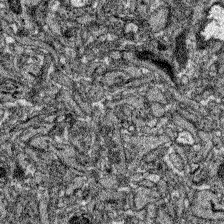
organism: Zebrafish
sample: Larval olfactory bulb